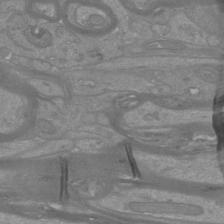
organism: Mouse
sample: Cortical neurons